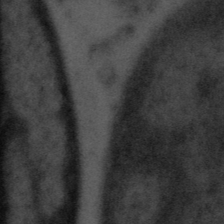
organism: Tuwongella immobilis